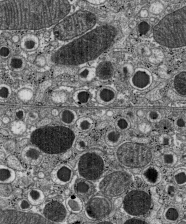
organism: C57BL Mouse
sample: Pancreatic islet